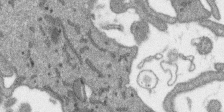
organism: Human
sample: Lung epithelial cells infected with SARS-CoV-2